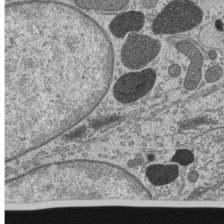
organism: Mouse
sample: Mouse epididymis efferent ductule cilia